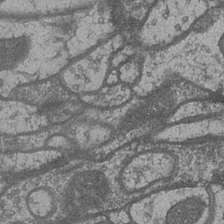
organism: Drosophila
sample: Optic medulla